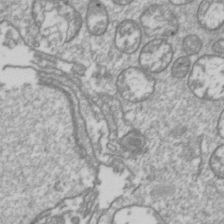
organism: Drosophila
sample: Cell division; meiosis; drosophila spermatocytes